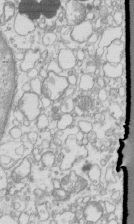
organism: Mouse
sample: Macrophages